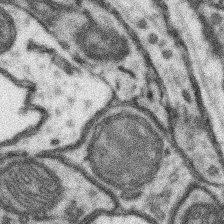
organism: Mouse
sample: Somatosensory cortex neuropil